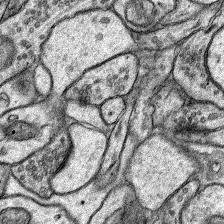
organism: Rat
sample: Hippocampus